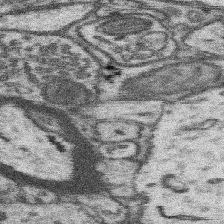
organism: Mouse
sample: Somatosensory cortex neuropil